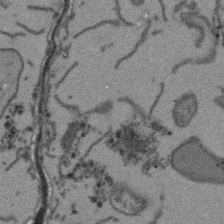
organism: Arabidopsis thaliana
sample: Root tip